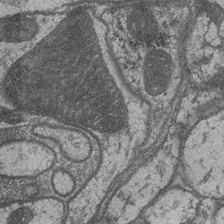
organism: Drosophila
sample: Optic medulla